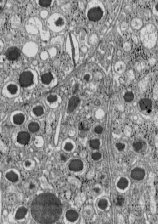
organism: C57BL Mouse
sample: Pancreatic islet